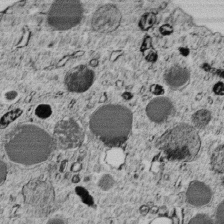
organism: C. elegans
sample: C. elegans embryo early stage